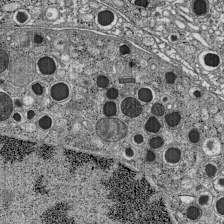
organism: C57BL Mouse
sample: Pancreatic islet